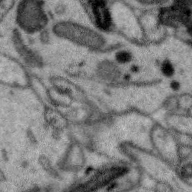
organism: Zebra finch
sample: Brain